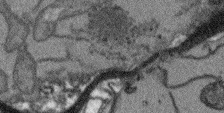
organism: Arabidopsis thaliana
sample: Root tip